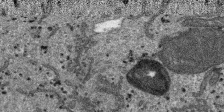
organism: Human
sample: Lung epithelial cells infected with SARS-CoV-2